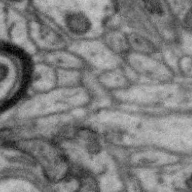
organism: Zebra finch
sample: Brain